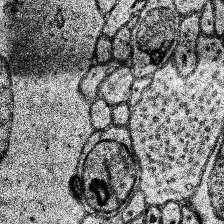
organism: Human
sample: Temporal Lobe